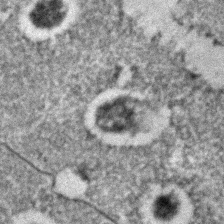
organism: C. elegans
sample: C. elegans embryo